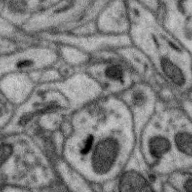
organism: Zebra finch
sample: Brain